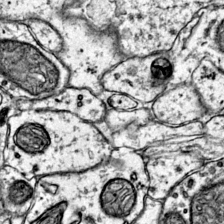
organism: Mouse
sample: Primary visual cortex